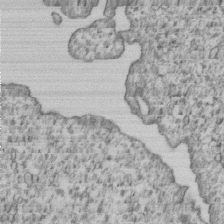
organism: Human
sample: MDA-MB-231 cells